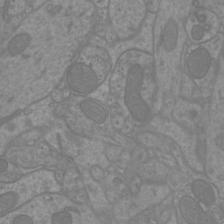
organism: Mouse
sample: Cortical neurons